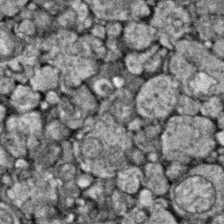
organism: Zebrafish